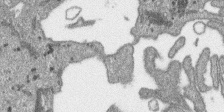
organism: Human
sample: Lung epithelial cells infected with SARS-CoV-2